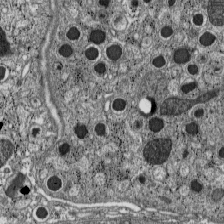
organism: C57BL Mouse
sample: Pancreatic islet